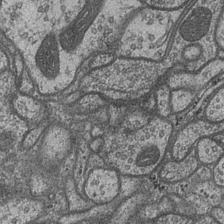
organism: Drosophila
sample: Optic medulla